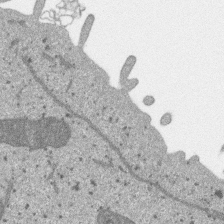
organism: Human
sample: Lung epithelial cells infected with SARS-CoV-2